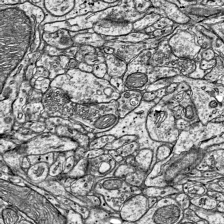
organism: Mouse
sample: Visual Cortex